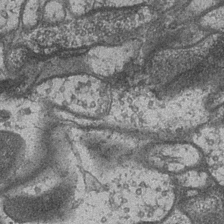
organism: Drosophila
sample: Optic medulla